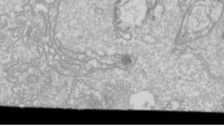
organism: Drosophila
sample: Cell division; meiosis; drosophila spermatocytes